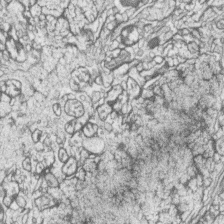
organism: Zebrafish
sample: synaptic ribbons in rod cells and cone cells